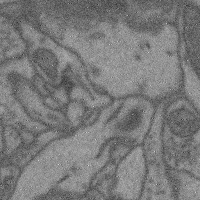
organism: Mouse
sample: Cerebral cortex